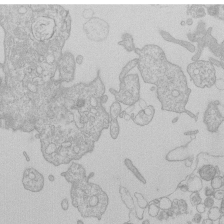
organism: Human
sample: Macrophage cells